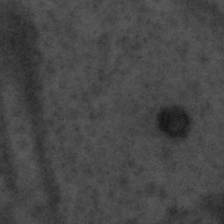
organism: Tuwongella immobilis